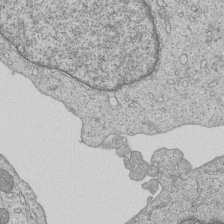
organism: Human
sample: MDA-MB-231 cells